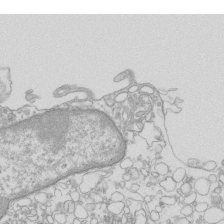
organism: Mouse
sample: Macrophages